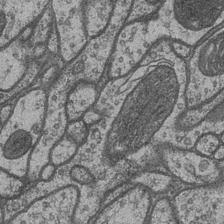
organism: Drosophila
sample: Optic medulla